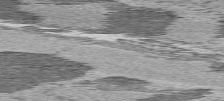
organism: C57BL Mouse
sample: Heart